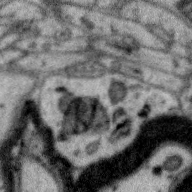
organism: Zebra finch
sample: Brain